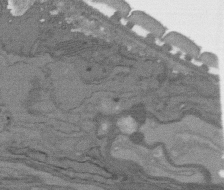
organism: C. elegans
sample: AFD neurons C. elegans